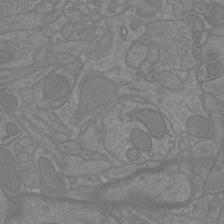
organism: Mouse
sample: Cortical neurons